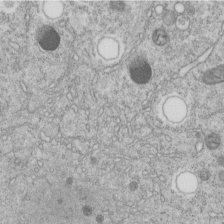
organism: C. elegans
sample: C. elegans embryo early stage